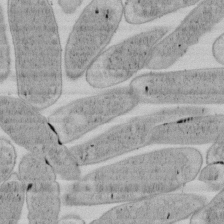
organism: E. coli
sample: Bacterial nucleoid